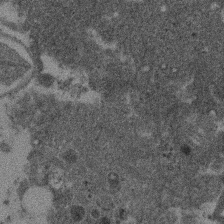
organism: Mouse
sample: Dividing mouse embryo 1 cell stage